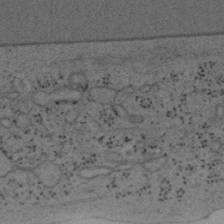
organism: Human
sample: HeLa cells